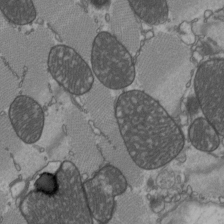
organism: C57BL Mouse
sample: Heart